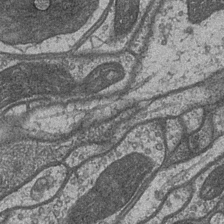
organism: Drosophila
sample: Optic medulla